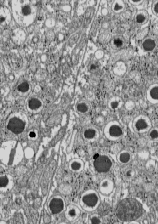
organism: C57BL Mouse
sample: Pancreatic islet